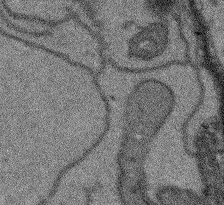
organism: Arabidopsis thaliana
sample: Root tip